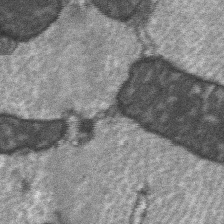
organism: C57BL Mouse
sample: Soleus